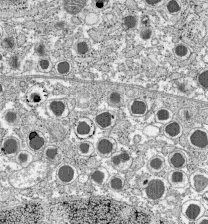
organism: C57BL Mouse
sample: Pancreatic islet